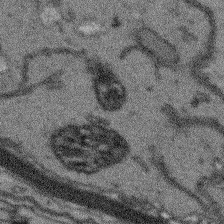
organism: Arabidopsis thaliana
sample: Root tip